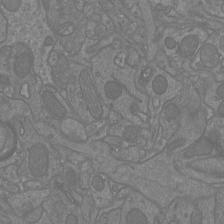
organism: Mouse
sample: Cortical neurons